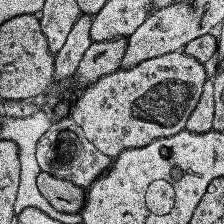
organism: Human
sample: Temporal Lobe